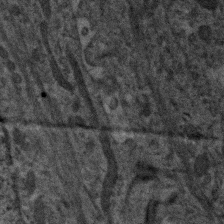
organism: Human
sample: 1205lu cells